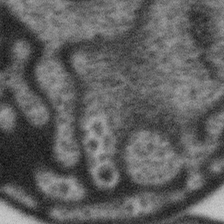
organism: Gemmata obscuriglobus